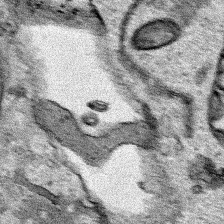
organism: Human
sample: Mitochondria in HCT116 cells